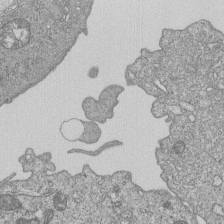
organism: Human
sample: MDA-MB-231 cells